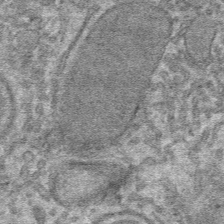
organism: Mouse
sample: Mouse hepatocytes